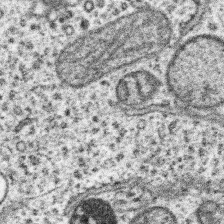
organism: Human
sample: HeLa cells